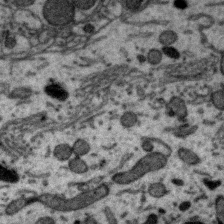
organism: Zebra finch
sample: Brain